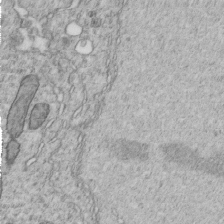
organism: C. elegans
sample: C. elegans embryo early stage